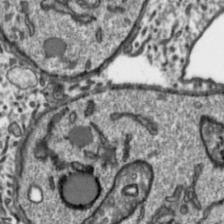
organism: Toxoplasma gondii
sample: Parasites in a vacuole inside a host cell